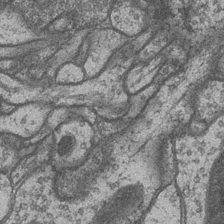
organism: Drosophila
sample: Optic medulla